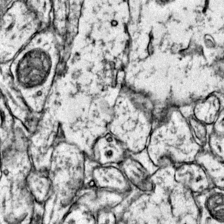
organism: Mouse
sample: Primary visual cortex